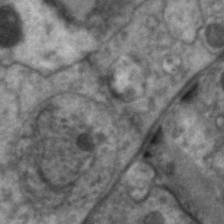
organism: C. elegans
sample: Pharynx